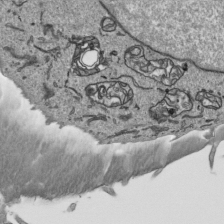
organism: Human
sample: Mitochondria in HCT116 cells